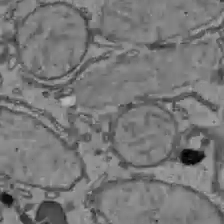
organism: C57BL Mouse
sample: Liver